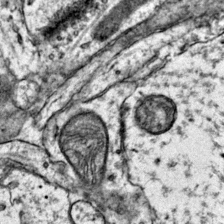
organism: Mouse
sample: Primary visual cortex